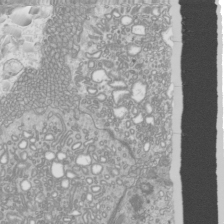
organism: Mouse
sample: Cilia; mouse epididymis